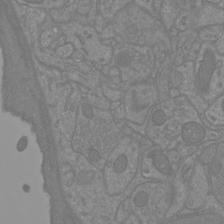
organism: Mouse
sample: Cortical neurons